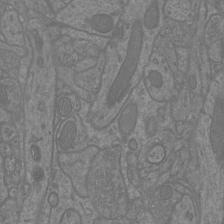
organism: Mouse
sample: Cortical neurons